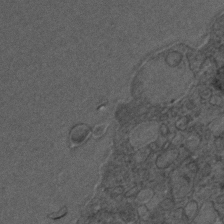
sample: Trachea